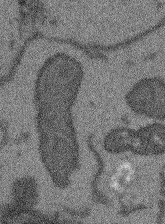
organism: Arabidopsis thaliana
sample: Root tip